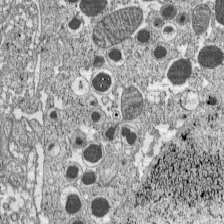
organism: C57BL Mouse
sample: Pancreatic islet